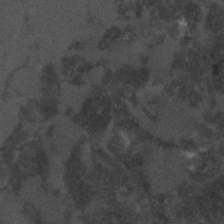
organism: C. elegans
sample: C. elegans embryo